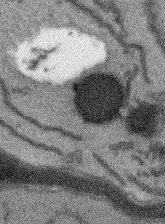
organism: Arabidopsis thaliana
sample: Root tip